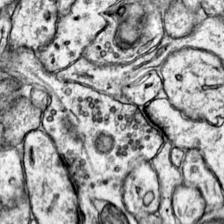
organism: Mouse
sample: Primary visual cortex